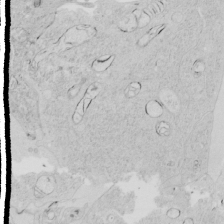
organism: Human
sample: Mitochondria in HCT116 cells